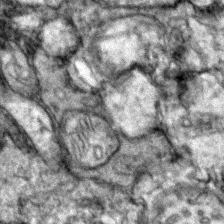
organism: Zebrafish